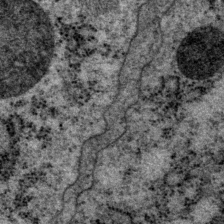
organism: P. pacificus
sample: Pharynx